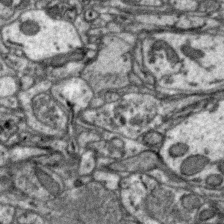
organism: Zebra finch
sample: Brain